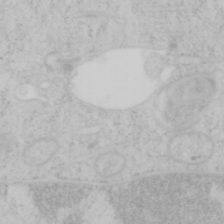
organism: Mouse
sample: OT-I killer T cells with ID8 ovarian cancer cells